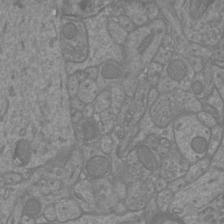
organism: Mouse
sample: Cortical neurons